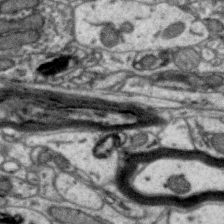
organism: Zebra finch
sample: Brain